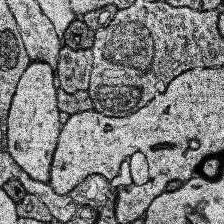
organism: Human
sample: Temporal Lobe